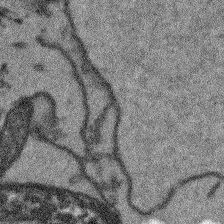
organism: Arabidopsis thaliana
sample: Root tip